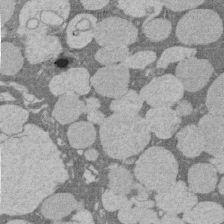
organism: Rat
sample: Salivary granule